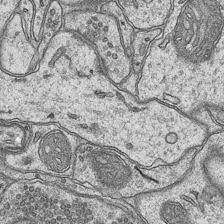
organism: Mouse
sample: CA1 Hippocampus